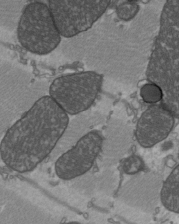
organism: C57BL Mouse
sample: Heart